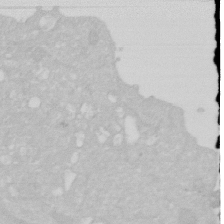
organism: Human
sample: HIV infected U937 cells